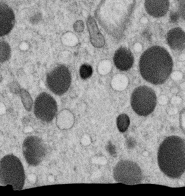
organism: C. elegans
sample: C. elegans oocyte; sperm cells